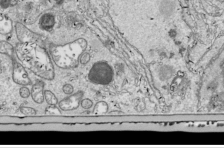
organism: Drosophila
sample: Cell division; meiosis; drosophila spermatocytes